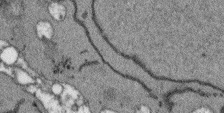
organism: Arabidopsis thaliana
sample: Root tip